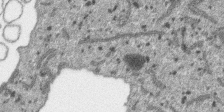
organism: Human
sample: Lung epithelial cells infected with SARS-CoV-2